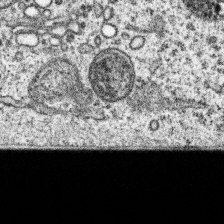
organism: Human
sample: HeLa cells